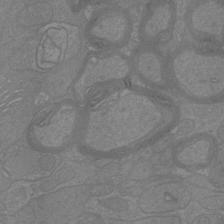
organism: Mouse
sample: Cortical neurons